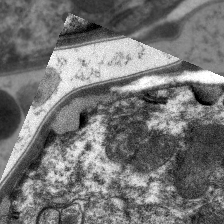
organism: C. elegans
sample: Pharynx